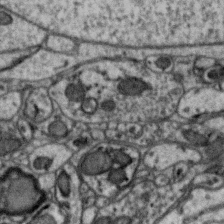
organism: Zebra finch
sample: Brain